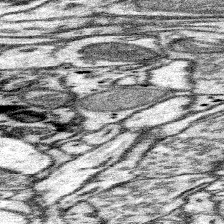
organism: Mouse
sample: Somatosensory cortex neuropil